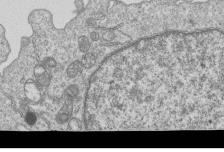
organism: Human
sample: MDA-MB-231 cells